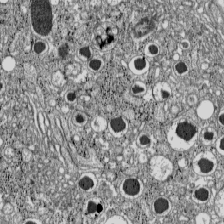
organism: C57BL Mouse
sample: Pancreatic islet